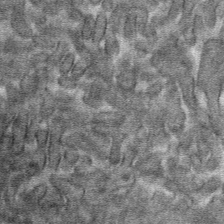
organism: Mouse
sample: Mouse hepatocytes